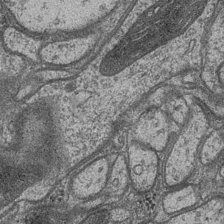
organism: Drosophila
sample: Optic medulla